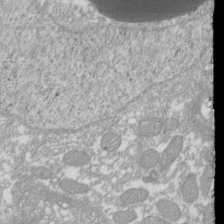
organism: Xenopus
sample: Cilia; centrioles in frog embryo cells